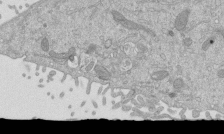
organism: Mouse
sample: ED-1 cell nuclei; centrioles